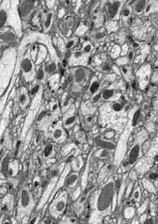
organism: Drosophila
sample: Optic lobe